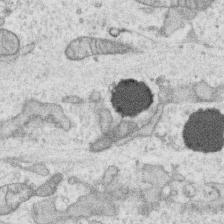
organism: Human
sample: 1205lu cells